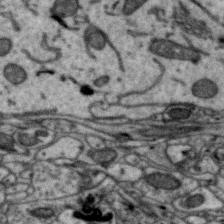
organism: Zebra finch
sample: Brain